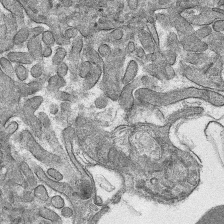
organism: Mouse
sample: Mouse hepatocytes